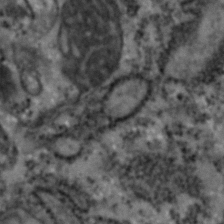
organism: Zebrafish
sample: Zebrafish embryo